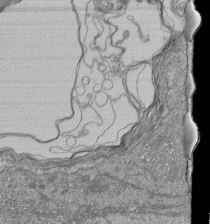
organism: Human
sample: Retinal organoid Rod and Cone cells